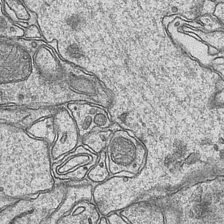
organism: Mouse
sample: CA1 Hippocampus